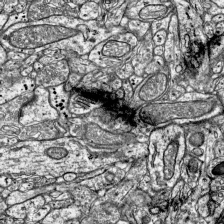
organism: Mouse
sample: Visual Cortex